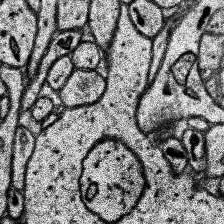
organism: Human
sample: Temporal Lobe